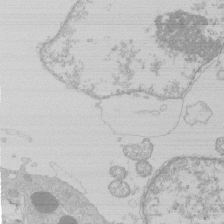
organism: Human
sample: Macrophage cells